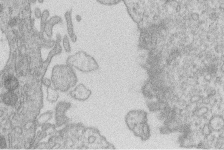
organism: Human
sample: Macrophage cells